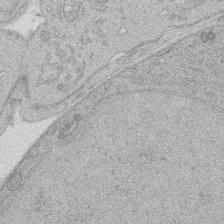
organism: Rat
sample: Salivary granule